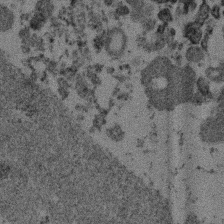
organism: Mouse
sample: Dividing mouse embryo 1 cell stage